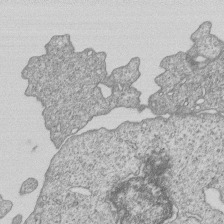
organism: Human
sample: MDA-MB-231 cells